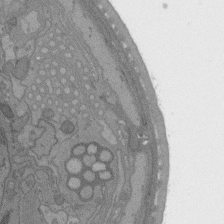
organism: C. elegans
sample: AFD neurons C. elegans